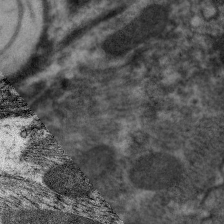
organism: C. elegans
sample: Pharynx